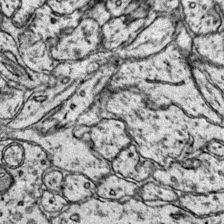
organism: Mouse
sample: Primary visual cortex